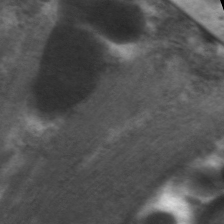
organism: C. elegans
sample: Pharynx